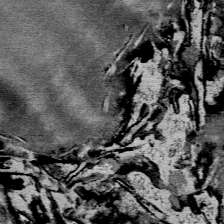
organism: Mouse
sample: Mouse Salivary gland